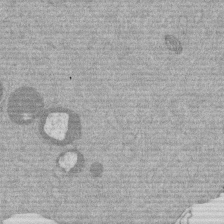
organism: Mouse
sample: Dividing mouse embryo 1 cell stage